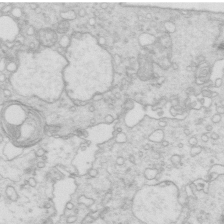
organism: Mouse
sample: Multiciliated cells